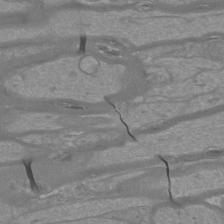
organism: Mouse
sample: Cortical neurons